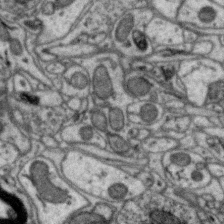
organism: Zebra finch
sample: Brain